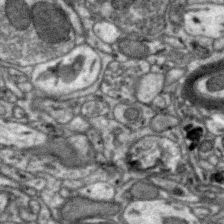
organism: Zebra finch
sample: Brain